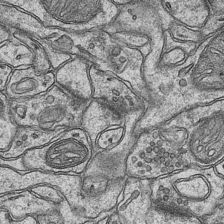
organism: Mouse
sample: CA1 Hippocampus